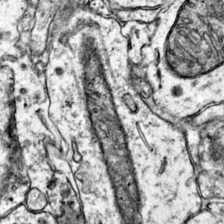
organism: Mouse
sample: Primary visual cortex